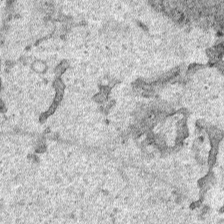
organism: Human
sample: Mitochondria in HCT116 cells